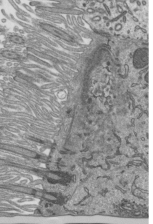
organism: Mouse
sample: Mouse epididymis efferent ductule cilia